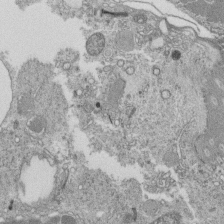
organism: Tetrahymena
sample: Cilia in tetrahymena